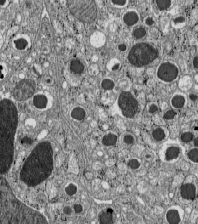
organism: C57BL Mouse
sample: Pancreatic islet